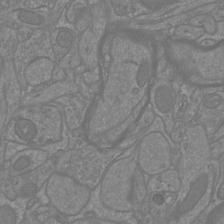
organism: Mouse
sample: Cortical neurons